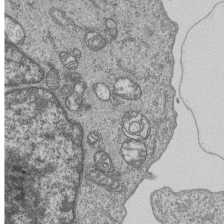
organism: Human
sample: MDA-MB-231 cells